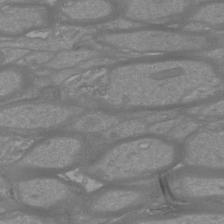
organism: Mouse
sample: Cortical neurons